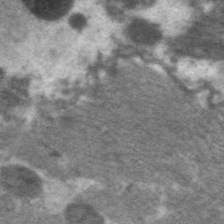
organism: C. elegans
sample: Pharynx